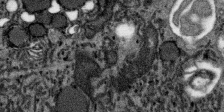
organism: Human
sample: Lung epithelial cells, uninfected (mock) control